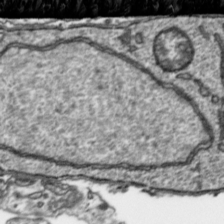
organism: Toxoplasma gondii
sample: Parasites in a vacuole inside a host cell